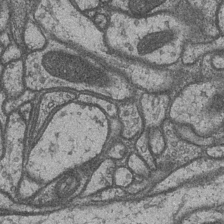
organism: Drosophila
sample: Optic medulla